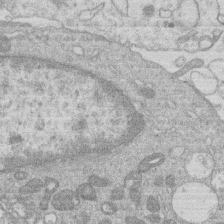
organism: Human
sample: Macrophage cells